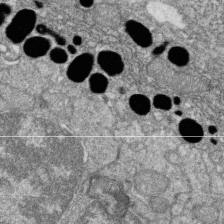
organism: Zebrafish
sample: Cilia; retinal pigment epithelium